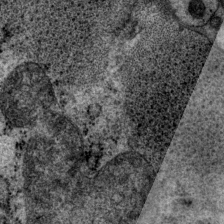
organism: P. pacificus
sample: Pharynx